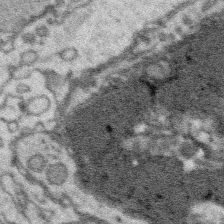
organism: Platynereis dumerilii